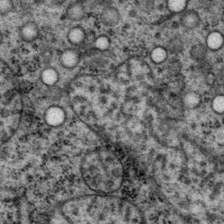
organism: P. pacificus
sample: Pharynx